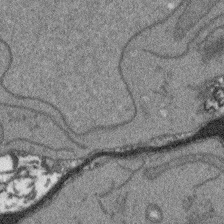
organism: Arabidopsis thaliana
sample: Root tip